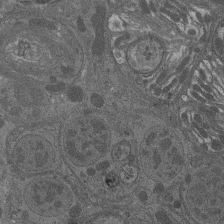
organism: Drosophila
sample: Antenna